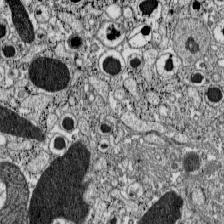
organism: C57BL Mouse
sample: Pancreatic islet